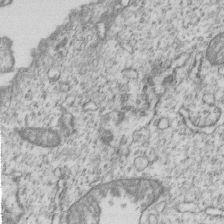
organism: Human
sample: MDA-MB-231 cells